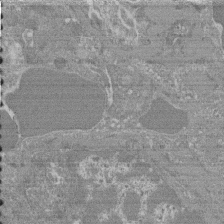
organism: Mouse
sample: Glomerulus